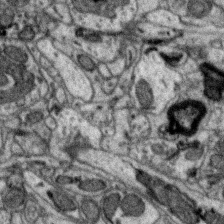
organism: Zebra finch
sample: Brain